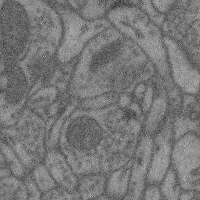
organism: Mouse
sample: Cerebral cortex